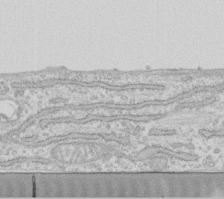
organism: Human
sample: Fibroblast cells